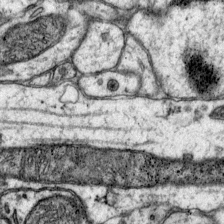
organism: Mouse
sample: Primary visual cortex